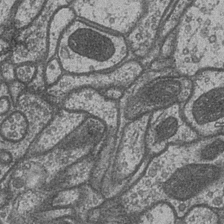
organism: Drosophila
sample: Optic medulla